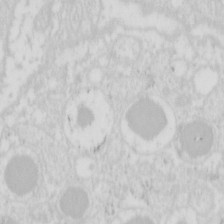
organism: Mouse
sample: Pancreas